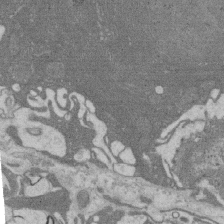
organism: Rat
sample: Salivary granule